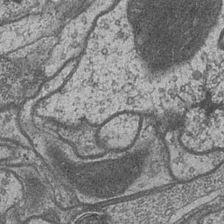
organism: Drosophila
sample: Optic medulla